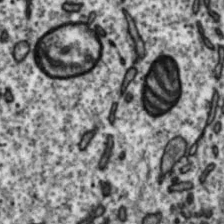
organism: Human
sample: HeLa cells